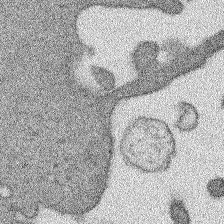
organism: Human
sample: HeLa cells